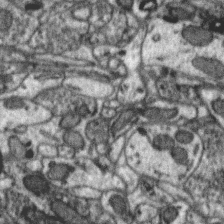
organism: Zebra finch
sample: Brain